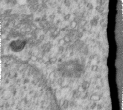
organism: Human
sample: Centriole in RPE cells